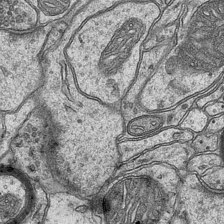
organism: Mouse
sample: CA1 Hippocampus